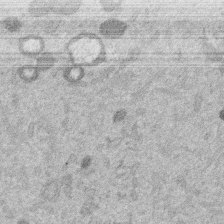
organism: Mouse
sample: Dividing mouse embryo 1 cell stage